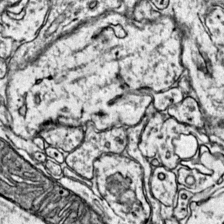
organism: Mouse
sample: Primary visual cortex